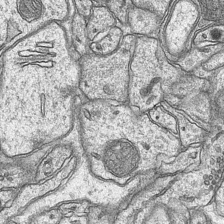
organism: Mouse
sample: CA1 Hippocampus